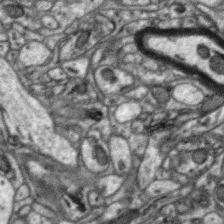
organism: Zebra finch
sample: Brain